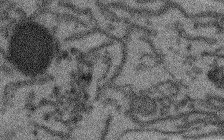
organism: Arabidopsis thaliana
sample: Root tip